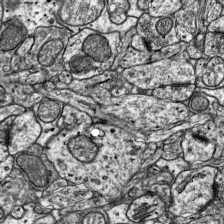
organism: Mouse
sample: Visual Cortex